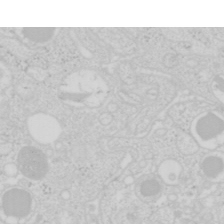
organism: Mouse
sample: Pancreas